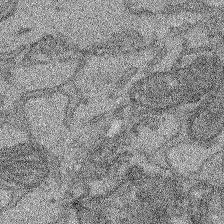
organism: Human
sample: HeLa cells